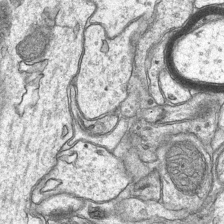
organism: Mouse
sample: CA1 Hippocampus